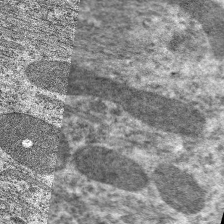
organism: C. elegans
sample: Pharynx